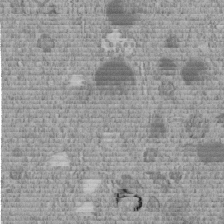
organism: C. elegans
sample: C. elegans embryo early stage